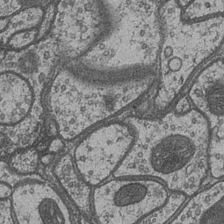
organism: Drosophila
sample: Optic medulla